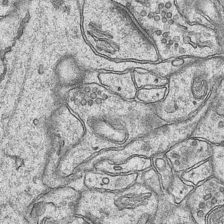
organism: Mouse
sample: CA1 Hippocampus